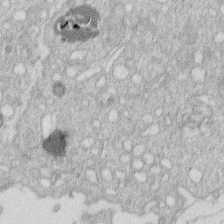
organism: Human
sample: Macrophage cells